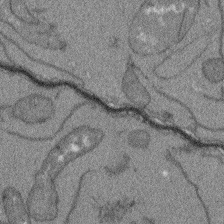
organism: Arabidopsis thaliana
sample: Root tip